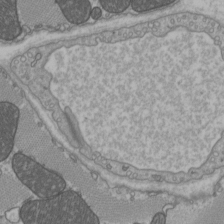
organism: C57BL Mouse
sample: Heart